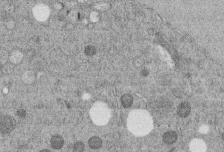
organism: C. elegans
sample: C. elegans embryo early stage